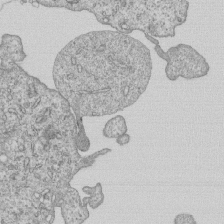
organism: Human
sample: MDA-MB-231 cells